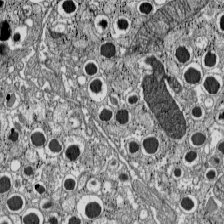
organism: C57BL Mouse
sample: Pancreatic islet